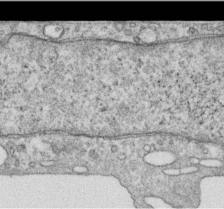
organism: Human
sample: Centriole in RPE cells